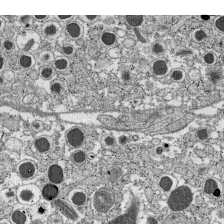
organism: C57BL Mouse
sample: Pancreatic islet